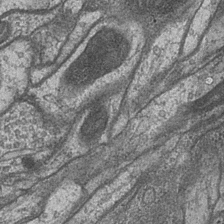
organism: Drosophila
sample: Optic medulla